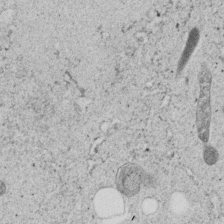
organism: C. elegans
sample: C. elegans embryo early stage